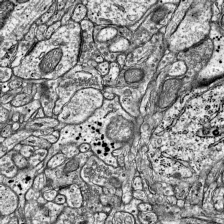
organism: Mouse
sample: Visual Cortex